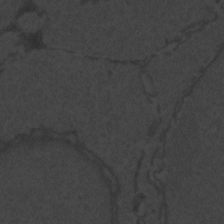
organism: Zebrafish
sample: Macrophage infected with Toxoplasma gondii